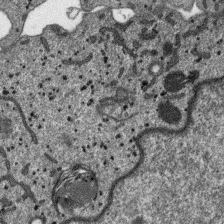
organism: Human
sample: Lung epithelial cells infected with SARS-CoV-2